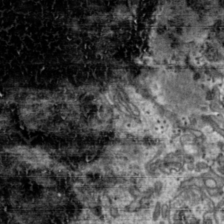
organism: Toxoplasma gondii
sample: Parasites in a vacuole inside a host cell